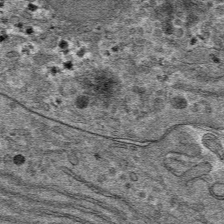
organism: Mouse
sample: Mouse hepatocytes